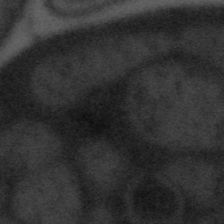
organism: Tuwongella immobilis